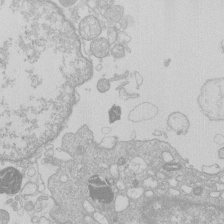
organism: Human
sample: Macrophage cells